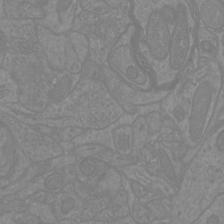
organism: Mouse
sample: Cortical neurons